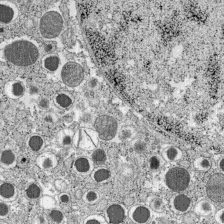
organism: C57BL Mouse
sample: Pancreatic islet